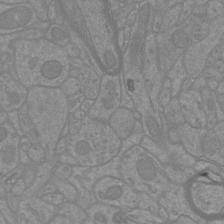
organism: Mouse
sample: Cortical neurons